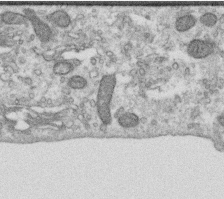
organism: Human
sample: Centriole in RPE cells